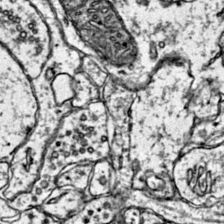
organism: Mouse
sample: Primary visual cortex